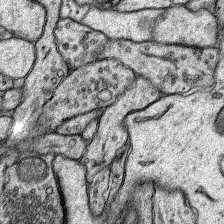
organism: Rat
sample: Hippocampus